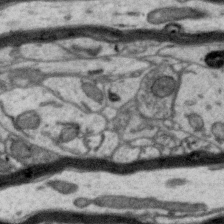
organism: Zebra finch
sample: Brain